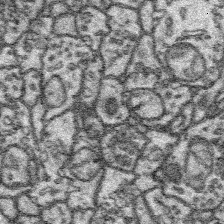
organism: Platynereis dumerilii